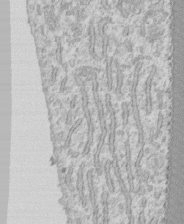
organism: Human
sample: CRL-1474